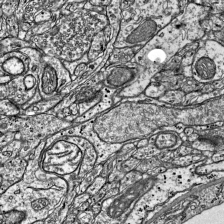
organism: Mouse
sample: Visual Cortex